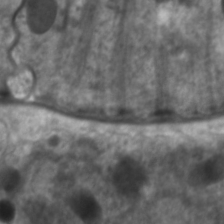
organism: C. elegans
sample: Pharynx